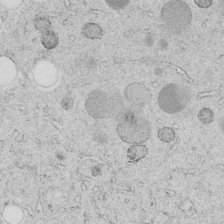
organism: C. elegans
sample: C. elegans embryo early stage